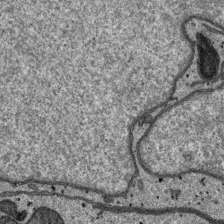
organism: Human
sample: Lung epithelial cells, uninfected (mock) control